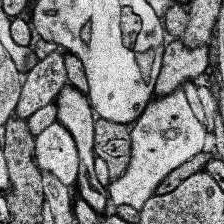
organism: Human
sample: Temporal Lobe